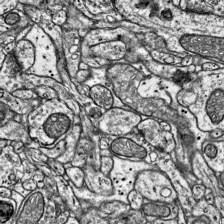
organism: Mouse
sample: Visual Cortex